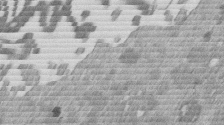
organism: Mouse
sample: Dividing mouse embryo 1 cell stage